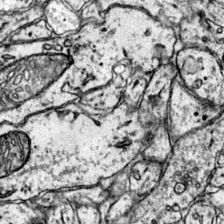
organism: Mouse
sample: Primary visual cortex